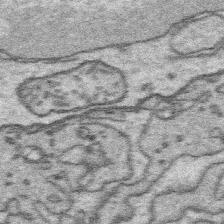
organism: Platynereis dumerilii